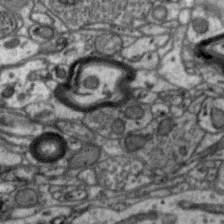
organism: Zebra finch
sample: Brain